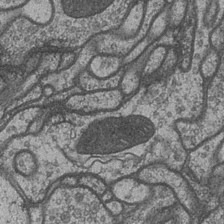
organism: Drosophila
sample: Optic medulla